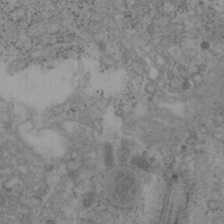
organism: Mouse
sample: OT-I killer T cells with ID8 ovarian cancer cells